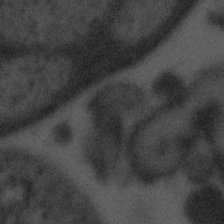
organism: Tuwongella immobilis